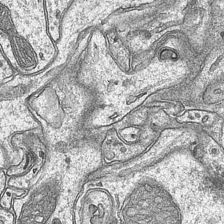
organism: Mouse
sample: CA1 Hippocampus